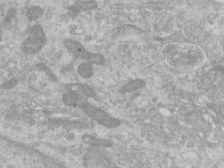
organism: Human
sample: Centriole in RPE cells